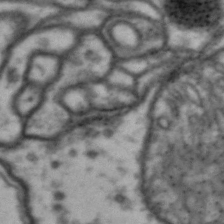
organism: Drosophila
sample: Brain